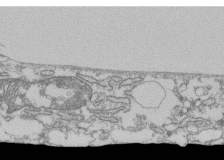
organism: Human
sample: Fibroblast cells